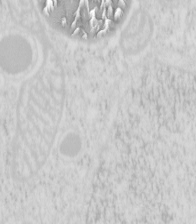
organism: Mouse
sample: Pancreas